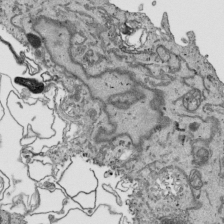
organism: Human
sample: Mitochondria in HCT116 cells